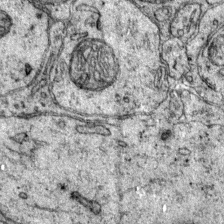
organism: Mouse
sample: Primary visual cortex